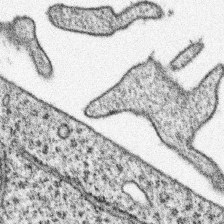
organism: Human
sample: HeLa cells